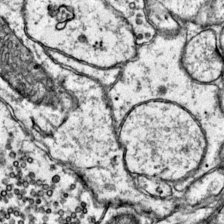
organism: Mouse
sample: Primary visual cortex